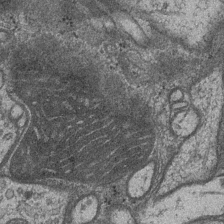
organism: Drosophila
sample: Optic medulla